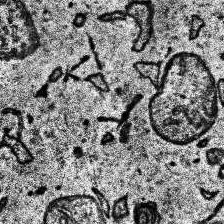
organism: Human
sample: Temporal Lobe